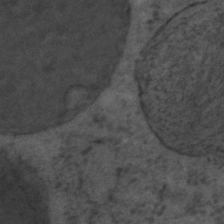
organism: C. elegans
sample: C. elegans embryo